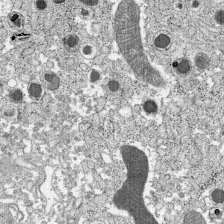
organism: C57BL Mouse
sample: Pancreatic islet